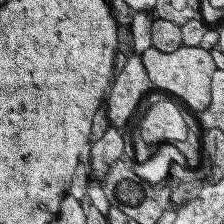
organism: Human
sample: Temporal Lobe